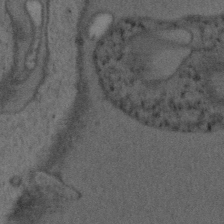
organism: Human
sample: HeLa cells